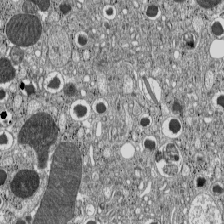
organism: C57BL Mouse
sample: Pancreatic islet